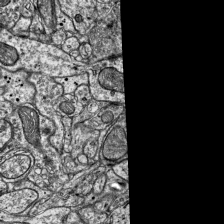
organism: Mouse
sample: Visual Cortex